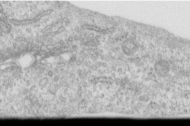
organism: Human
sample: Centriole in RPE cells